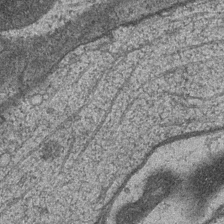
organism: Drosophila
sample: Optic medulla